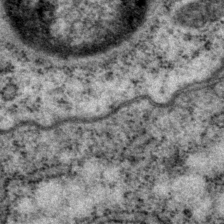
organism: P. pacificus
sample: Pharynx